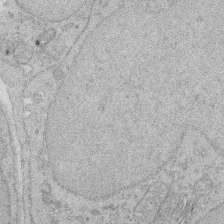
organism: Rat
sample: Salivary granule